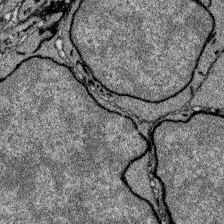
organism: Zebrafish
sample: Larval olfactory bulb